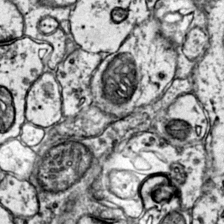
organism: Mouse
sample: Primary visual cortex